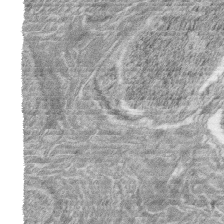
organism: Zebrafish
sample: synaptic ribbons in rod cells and cone cells